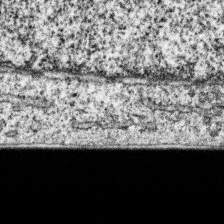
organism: Human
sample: HeLa cells